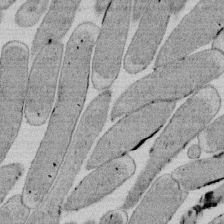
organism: E. coli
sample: Bacterial nucleoid